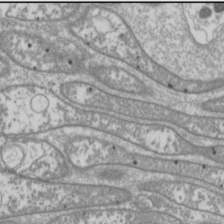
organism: Drosophila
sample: Cell division; meiosis; drosophila spermatocytes